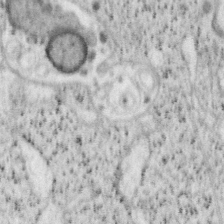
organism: Mouse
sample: OT-I killer T cells with ID8 ovarian cancer cells